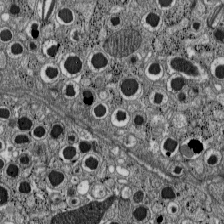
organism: C57BL Mouse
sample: Pancreatic islet